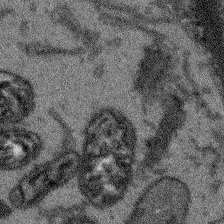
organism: Arabidopsis thaliana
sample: Root tip